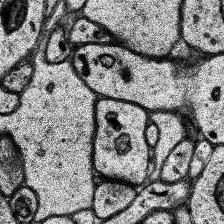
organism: Human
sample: Temporal Lobe